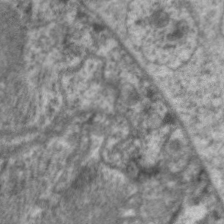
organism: C. elegans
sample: Pharynx